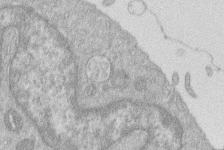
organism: Human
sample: Macrophage cells